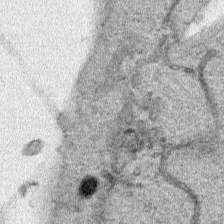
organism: Human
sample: Mitochondria in HCT116 cells